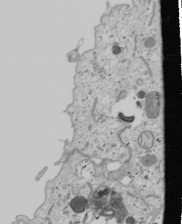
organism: Human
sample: Mitochondria in U2OS cells